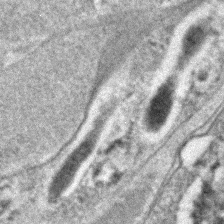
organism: C. elegans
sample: C. elegans embryo